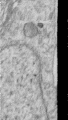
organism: Human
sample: Centriole in RPE cells